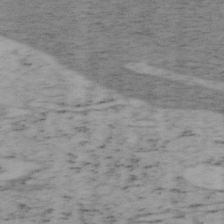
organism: Mouse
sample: OT-I killer T cells with ID8 ovarian cancer cells